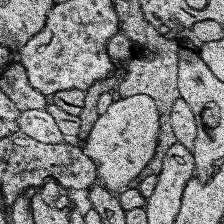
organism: Human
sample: Temporal Lobe